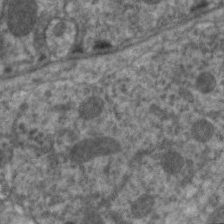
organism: C. elegans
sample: Pharynx